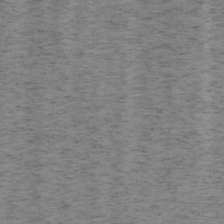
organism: Mouse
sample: OT-I killer T cells with ID8 ovarian cancer cells